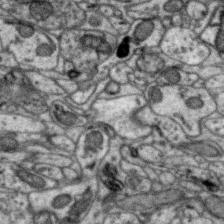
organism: Zebra finch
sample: Brain